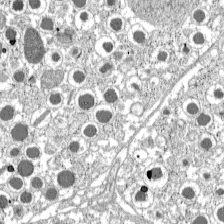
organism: C57BL Mouse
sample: Pancreatic islet